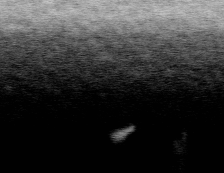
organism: Human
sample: HeLa cells